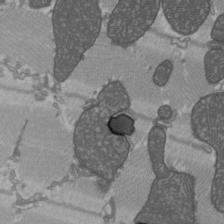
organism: C57BL Mouse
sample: Heart